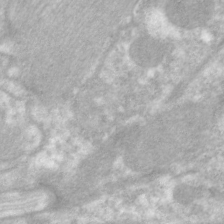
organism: C. elegans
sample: Pharynx